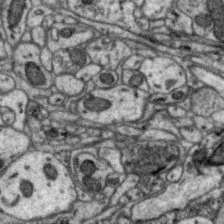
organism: Zebra finch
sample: Brain